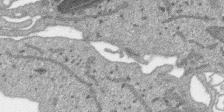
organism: Human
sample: Lung epithelial cells infected with SARS-CoV-2